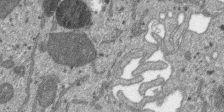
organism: Human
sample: Lung epithelial cells infected with SARS-CoV-2